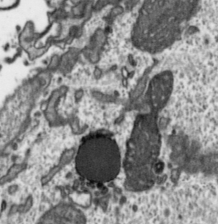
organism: Toxoplasma gondii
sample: Parasites in a vacuole inside a host cell